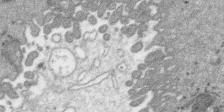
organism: Human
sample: Lung epithelial cells infected with SARS-CoV-2